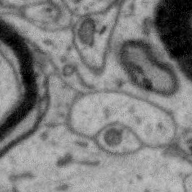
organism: Zebra finch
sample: Brain